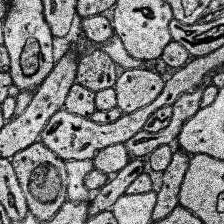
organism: Human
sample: Temporal Lobe